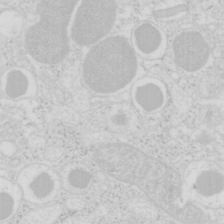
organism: Mouse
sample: Pancreas